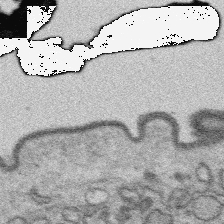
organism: Platynereis dumerilii